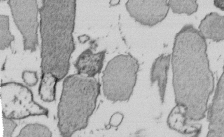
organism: E. coli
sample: Bacterial nucleoid